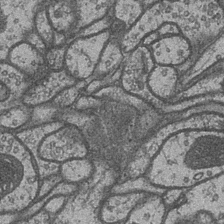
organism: Drosophila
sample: Optic medulla